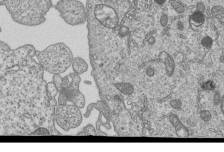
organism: Human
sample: MDA-MB-231 cells